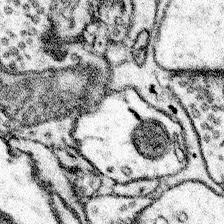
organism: Mouse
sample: Somatosensory cortex neuropil